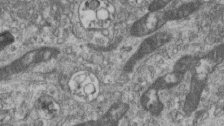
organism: Mouse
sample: Centriole in ependymal cells